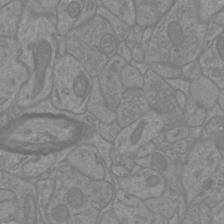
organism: Mouse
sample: Cortical neurons